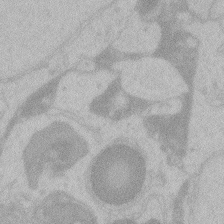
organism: Zebrafish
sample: Macrophage infected with Toxoplasma gondii